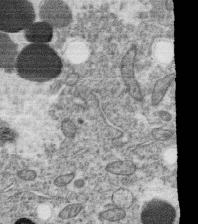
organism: C. elegans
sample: C. elegans oocyte; sperm cells